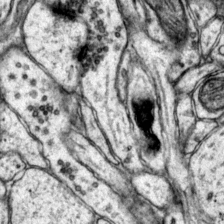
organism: Mouse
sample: Primary visual cortex